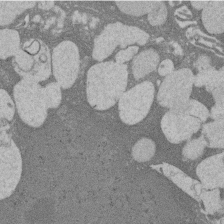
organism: Rat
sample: Salivary granule